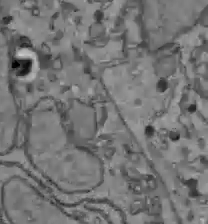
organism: C57BL Mouse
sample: Liver